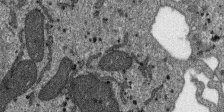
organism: Human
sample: Lung epithelial cells infected with SARS-CoV-2